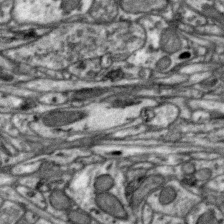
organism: Zebra finch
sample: Brain